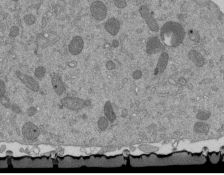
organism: Mouse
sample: ED-1 cell nuclei; centrioles